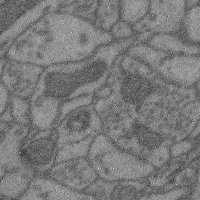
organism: Mouse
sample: Cerebral cortex